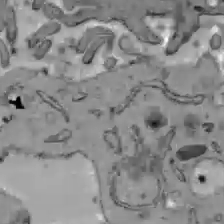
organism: C57BL Mouse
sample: Liver